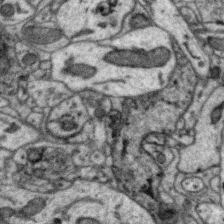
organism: Zebra finch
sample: Brain